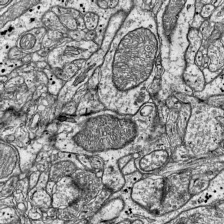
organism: Mouse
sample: Visual Cortex